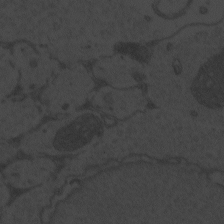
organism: Zebrafish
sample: Macrophage infected with Toxoplasma gondii